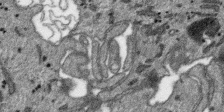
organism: Human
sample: Lung epithelial cells, uninfected (mock) control